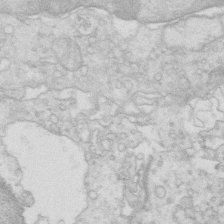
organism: Mouse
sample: Multiciliated cells